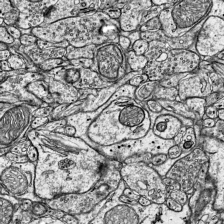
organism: Mouse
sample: Visual Cortex